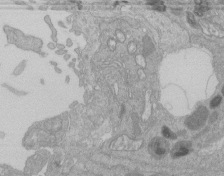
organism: Human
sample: Retinal organoid Rod and Cone cells